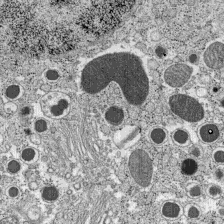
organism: C57BL Mouse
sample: Pancreatic islet